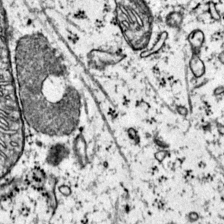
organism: Mouse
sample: Primary visual cortex